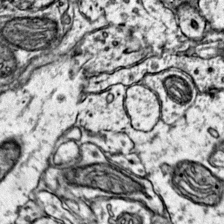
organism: Mouse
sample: Primary visual cortex